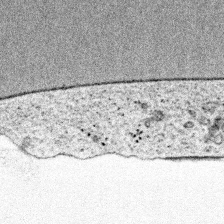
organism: Human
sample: HeLa cells